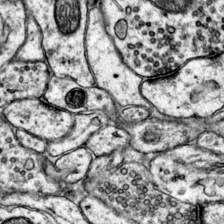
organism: Mouse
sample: Primary visual cortex